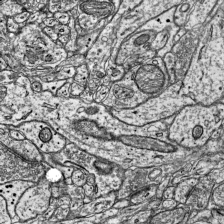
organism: Mouse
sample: Visual Cortex